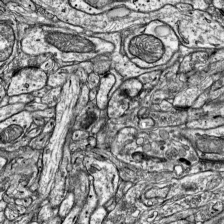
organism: Mouse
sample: Visual Cortex